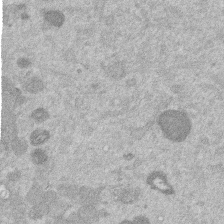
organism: Mouse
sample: Dividing mouse embryo 1 cell stage